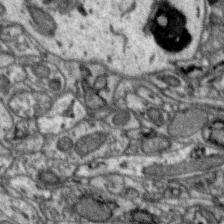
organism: Zebra finch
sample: Brain